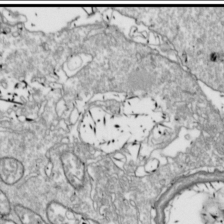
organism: Drosophila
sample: Cell division; meiosis; drosophila spermatocytes